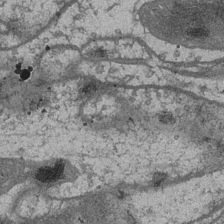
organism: Drosophila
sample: Optic medulla